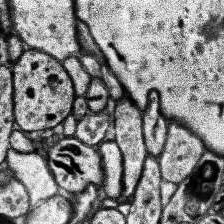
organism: Human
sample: Temporal Lobe